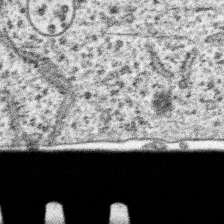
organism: Human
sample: HeLa cells